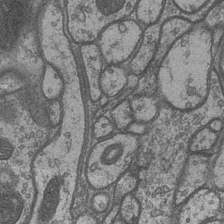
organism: Drosophila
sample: Optic medulla